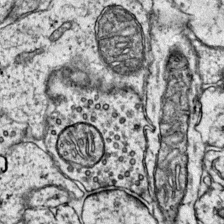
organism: Mouse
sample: Primary visual cortex